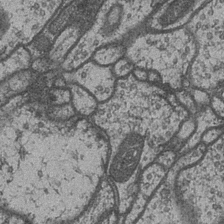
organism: Drosophila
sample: Optic medulla